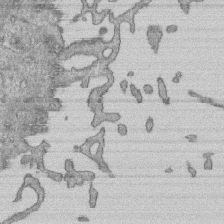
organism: Human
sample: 1205lu cells